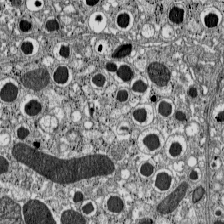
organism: C57BL Mouse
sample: Pancreatic islet